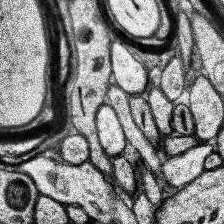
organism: Human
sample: Temporal Lobe